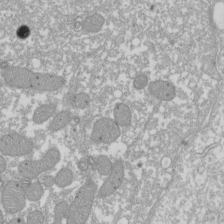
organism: Xenopus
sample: Cilia; centrioles in frog embryo cells